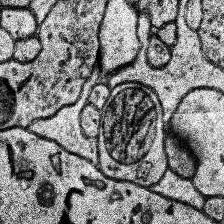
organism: Human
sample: Temporal Lobe